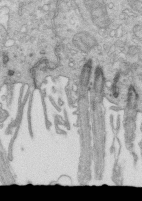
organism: Mouse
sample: Multiciliated cells